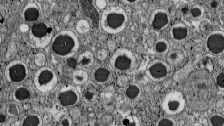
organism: C57BL Mouse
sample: Pancreatic islet